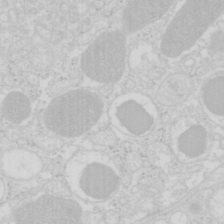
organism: Mouse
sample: Pancreas